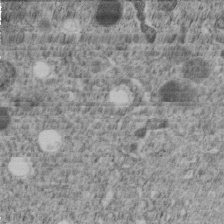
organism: C. elegans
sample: C. elegans embryo early stage